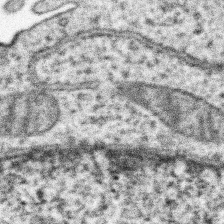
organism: Human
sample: HeLa cells